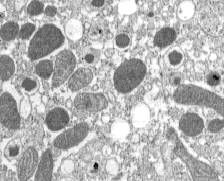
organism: C57BL Mouse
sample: Pancreatic islet